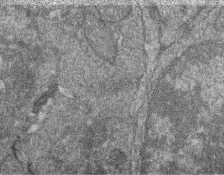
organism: Zebrafish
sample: Cilia; retinal pigment epithelium